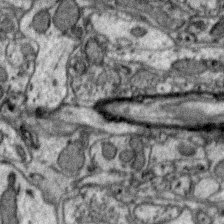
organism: Zebra finch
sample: Brain